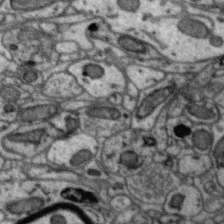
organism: Zebra finch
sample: Brain